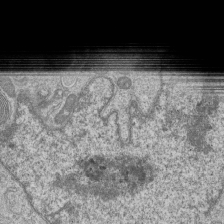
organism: Human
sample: MDA-MB-231 cells